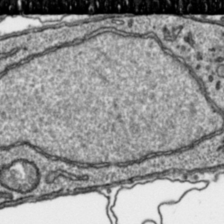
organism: Toxoplasma gondii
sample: Parasites in a vacuole inside a host cell